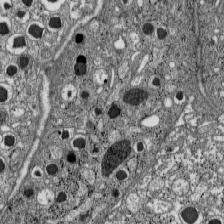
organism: C57BL Mouse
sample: Pancreatic islet